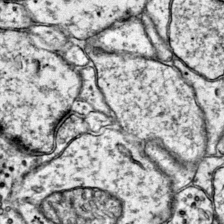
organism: Mouse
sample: Primary visual cortex